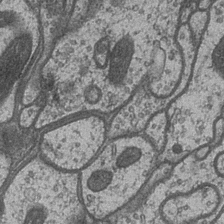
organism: Drosophila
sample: Optic medulla